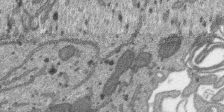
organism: Human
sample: Lung epithelial cells infected with SARS-CoV-2